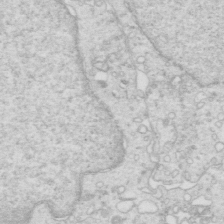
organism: Mouse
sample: Multiciliated cells